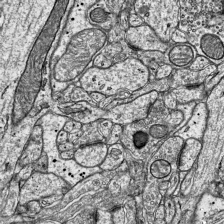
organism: Mouse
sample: Visual Cortex